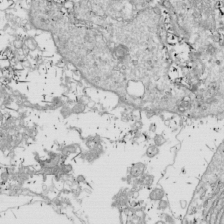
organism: Drosophila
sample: Cell division; meiosis; drosophila spermatocytes